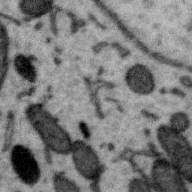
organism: Zebra finch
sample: Brain